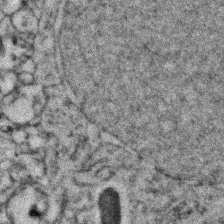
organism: Zebrafish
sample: Zebrafish embryo